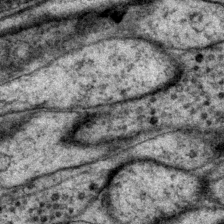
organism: P. pacificus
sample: Pharynx